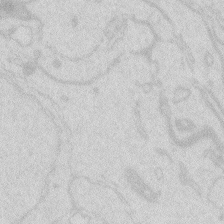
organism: Zebrafish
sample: Macrophage